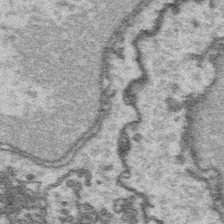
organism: Platynereis dumerilii